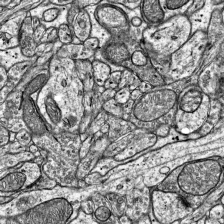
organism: Mouse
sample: Visual Cortex